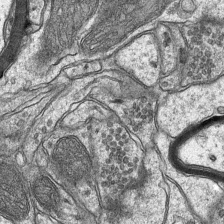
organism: Mouse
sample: CA1 Hippocampus